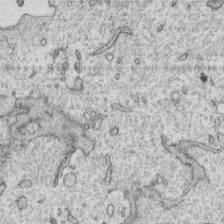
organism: Human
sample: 1205lu cells